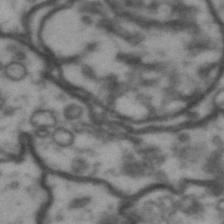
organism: Drosophila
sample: Brain